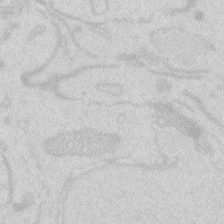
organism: Zebrafish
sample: Macrophage